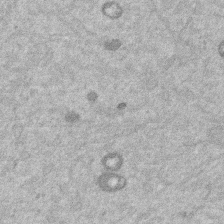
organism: Mouse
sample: Dividing mouse embryo 1 cell stage